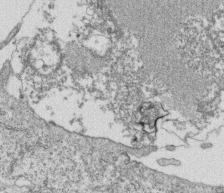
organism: Human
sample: HeLa cell HIV synapse